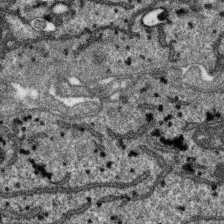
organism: Human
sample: Lung epithelial cells infected with SARS-CoV-2